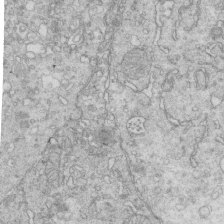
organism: Mouse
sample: Multiciliated cells